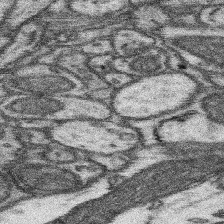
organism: Mouse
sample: Somatosensory cortex neuropil